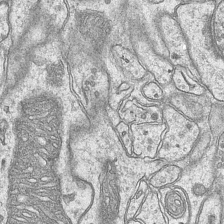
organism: Mouse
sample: CA1 Hippocampus